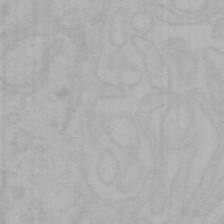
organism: Mouse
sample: Choroid plexus